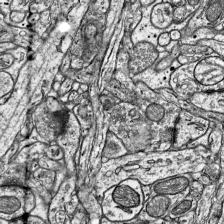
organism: Mouse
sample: Visual Cortex